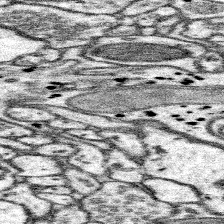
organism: Mouse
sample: Somatosensory cortex neuropil